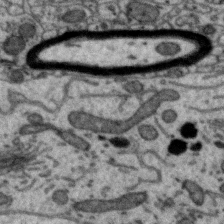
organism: Zebra finch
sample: Brain